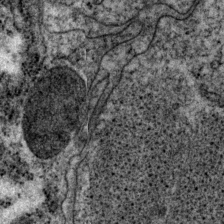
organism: P. pacificus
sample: Pharynx